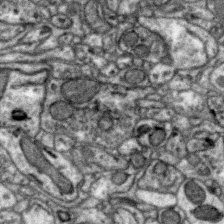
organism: Zebra finch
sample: Brain